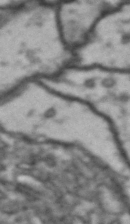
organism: Drosophila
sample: Brain